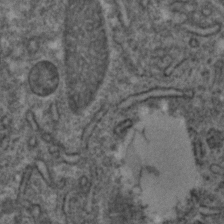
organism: C. elegans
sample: C. elegans embryo